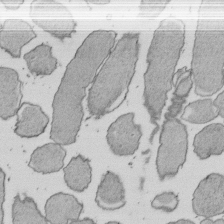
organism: E. coli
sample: Bacterial nucleoid